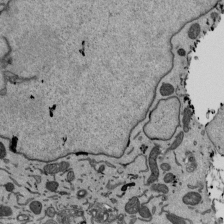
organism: Mouse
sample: ED-1 cell nuclei; centrioles